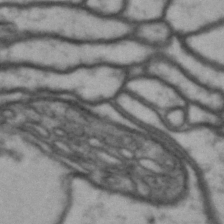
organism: Drosophila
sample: Brain